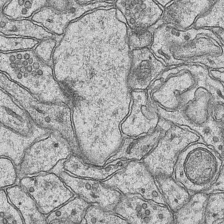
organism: Mouse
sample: CA1 Hippocampus